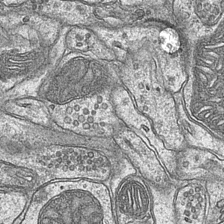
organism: Mouse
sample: CA1 Hippocampus